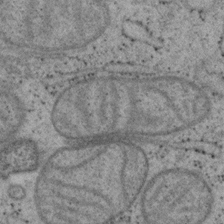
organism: Human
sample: HeLa cells